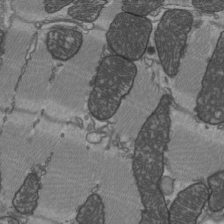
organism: C57BL Mouse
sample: Heart